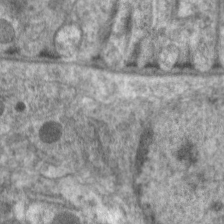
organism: C. elegans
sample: Pharynx